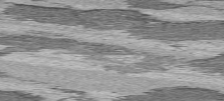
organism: C57BL Mouse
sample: Heart